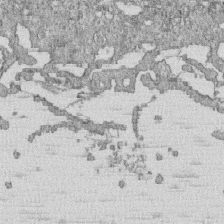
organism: Human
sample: HeLa cell HIV synapse